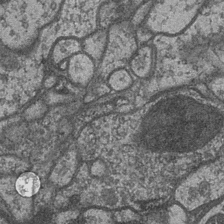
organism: Drosophila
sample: Optic medulla